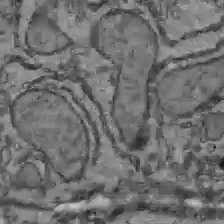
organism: C57BL Mouse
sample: Liver